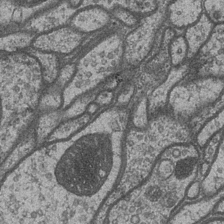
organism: Drosophila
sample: Optic medulla